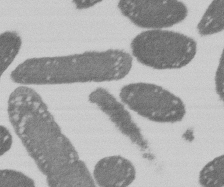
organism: E. coli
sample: Bacterial nucleoid